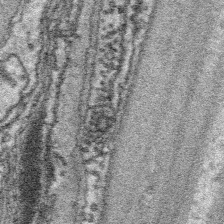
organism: Platynereis dumerilii